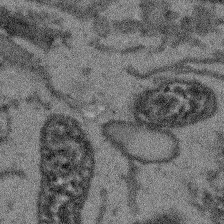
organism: Arabidopsis thaliana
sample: Root tip